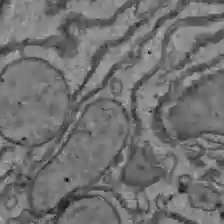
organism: C57BL Mouse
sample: Liver